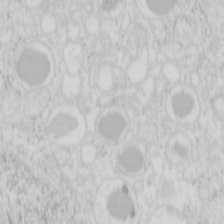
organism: Mouse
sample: Pancreas